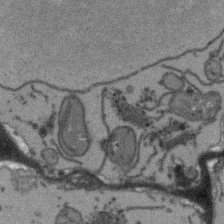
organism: Arabidopsis thaliana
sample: Root tip